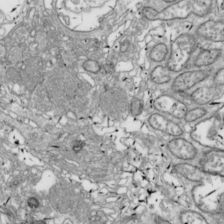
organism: Drosophila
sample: Cell division; meiosis; drosophila spermatocytes